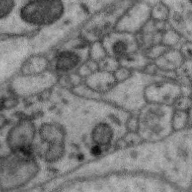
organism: Zebra finch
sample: Brain